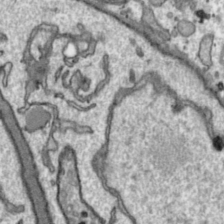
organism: Toxoplasma gondii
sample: Parasites in a vacuole inside a host cell